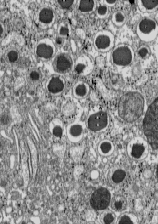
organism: C57BL Mouse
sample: Pancreatic islet